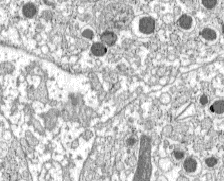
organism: C57BL Mouse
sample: Pancreatic islet